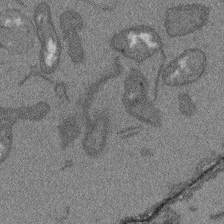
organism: Arabidopsis thaliana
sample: Root tip